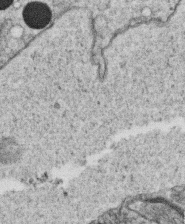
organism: C. elegans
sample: C. elegans oocyte; sperm cells